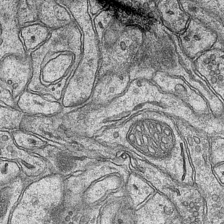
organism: Mouse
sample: CA1 Hippocampus